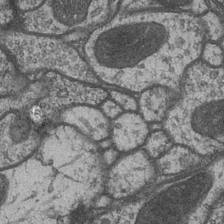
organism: Drosophila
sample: Optic medulla